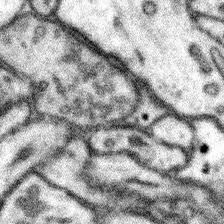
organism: Mouse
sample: Somatosensory cortex neuropil